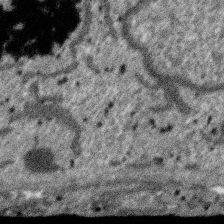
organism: Human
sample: Lung epithelial cells infected with SARS-CoV-2